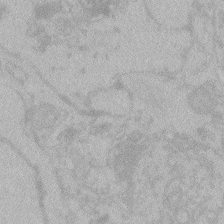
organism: Zebrafish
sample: Macrophage infected with Toxoplasma gondii